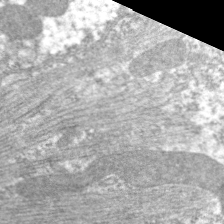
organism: C. elegans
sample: Pharynx